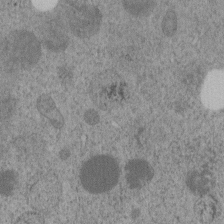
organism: C. elegans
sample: C. elegans embryo early stage